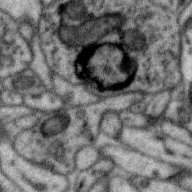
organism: Zebra finch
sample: Brain